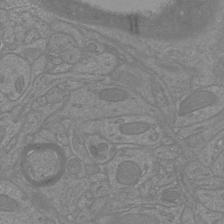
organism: Mouse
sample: Cortical neurons